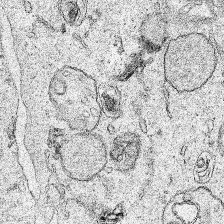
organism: Human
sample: Mitochondria in HCT116 cells